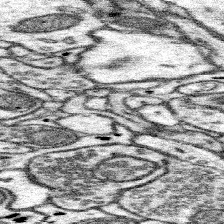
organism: Mouse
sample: Somatosensory cortex neuropil